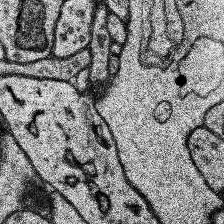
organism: Human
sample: Temporal Lobe